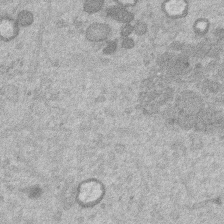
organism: Mouse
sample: Dividing mouse embryo 1 cell stage